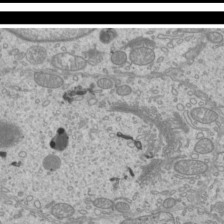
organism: Mouse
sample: Cilia; mouse epididymis